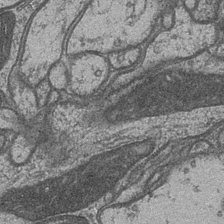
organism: Drosophila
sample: Optic medulla